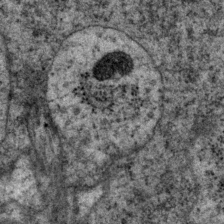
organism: P. pacificus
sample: Pharynx